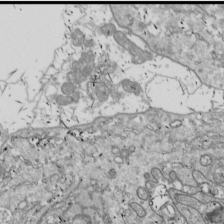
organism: Drosophila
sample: Cell division; meiosis; drosophila spermatocytes